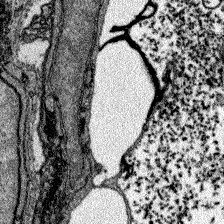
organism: Zebrafish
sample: Larval olfactory bulb